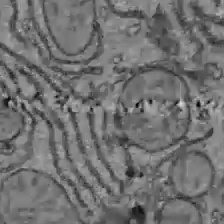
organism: C57BL Mouse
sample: Liver